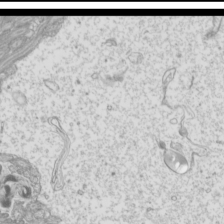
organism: Mouse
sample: Cilia; mouse epididymis